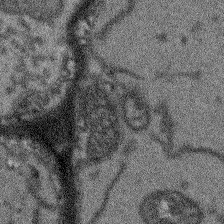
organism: Arabidopsis thaliana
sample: Root tip